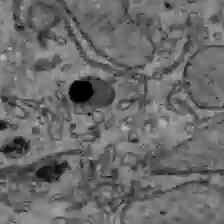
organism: C57BL Mouse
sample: Liver